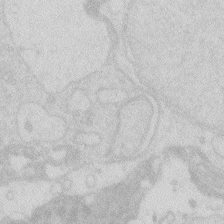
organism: Zebrafish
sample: Macrophage